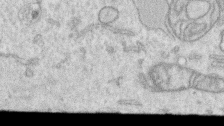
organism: Human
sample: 1205lu cells